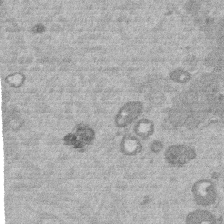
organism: Mouse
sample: Dividing mouse embryo 1 cell stage